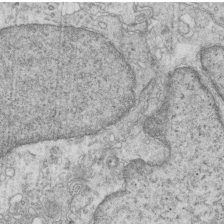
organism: Mouse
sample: Multiciliated cells